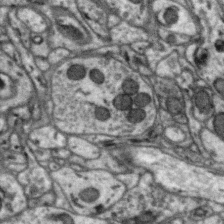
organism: Zebra finch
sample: Brain